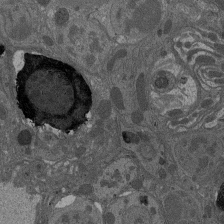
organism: Drosophila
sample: Antenna